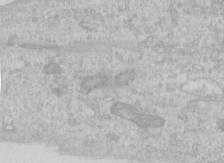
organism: Human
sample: Centriole in RPE cells